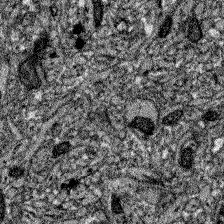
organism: Zebrafish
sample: Larval olfactory bulb